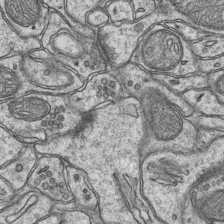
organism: Mouse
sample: CA1 Hippocampus